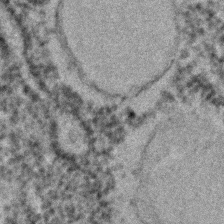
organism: C. elegans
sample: C. elegans embryo